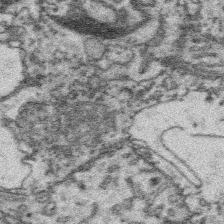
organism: Platynereis dumerilii